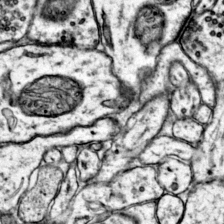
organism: Mouse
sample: Primary visual cortex